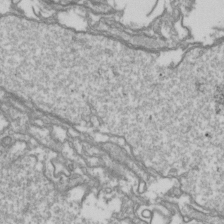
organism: Drosophila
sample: Cell division; meiosis; drosophila spermatocytes